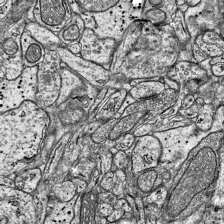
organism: Mouse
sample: Visual Cortex